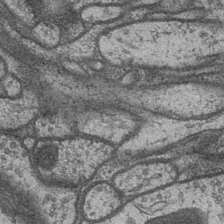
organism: Drosophila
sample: Optic medulla